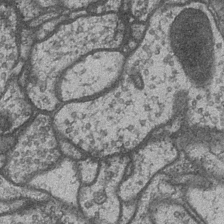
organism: Drosophila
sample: Optic medulla